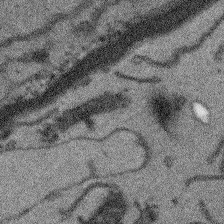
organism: Arabidopsis thaliana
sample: Root tip